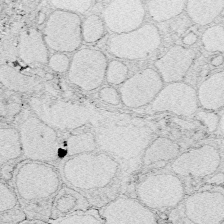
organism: Zebrafish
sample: Whole-Brain